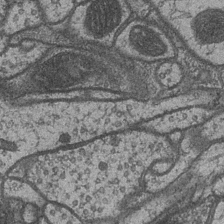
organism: Drosophila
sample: Optic medulla